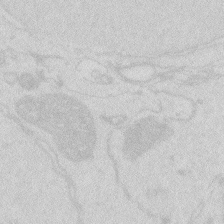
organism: Zebrafish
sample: Macrophage